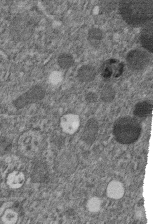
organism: C. elegans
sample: C. elegans embryo early stage